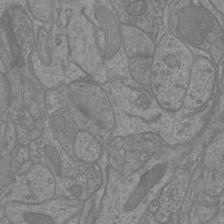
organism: Mouse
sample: Cortical neurons